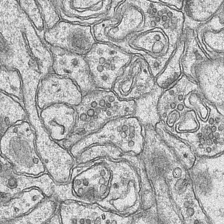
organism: Mouse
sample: CA1 Hippocampus